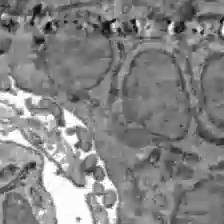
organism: C57BL Mouse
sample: Liver